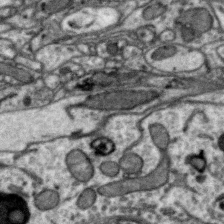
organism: Zebra finch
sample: Brain